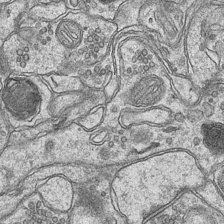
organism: Mouse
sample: CA1 Hippocampus